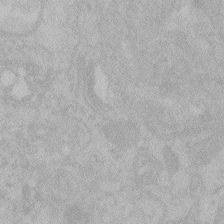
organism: Zebrafish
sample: Macrophage infected with Toxoplasma gondii